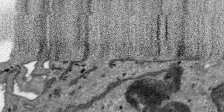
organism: Human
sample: Lung epithelial cells, uninfected (mock) control